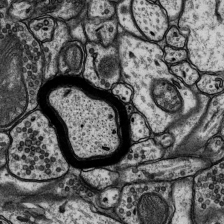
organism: Rat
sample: Hippocampus